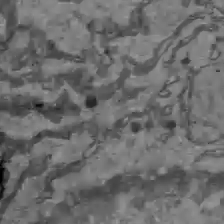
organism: C57BL Mouse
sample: Liver